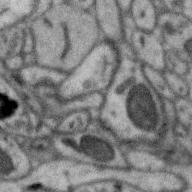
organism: Zebra finch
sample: Brain